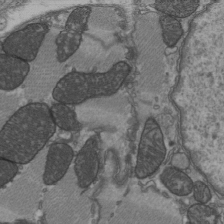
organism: C57BL Mouse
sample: Heart